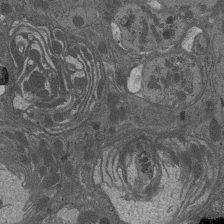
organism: Drosophila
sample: Antenna